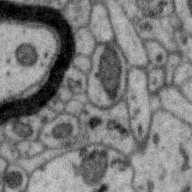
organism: Zebra finch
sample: Brain